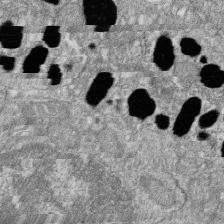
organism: Zebrafish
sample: Cilia; retinal pigment epithelium